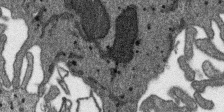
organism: Human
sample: Lung epithelial cells infected with SARS-CoV-2